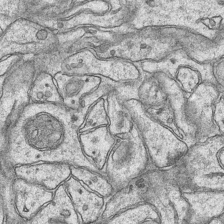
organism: Mouse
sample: CA1 Hippocampus